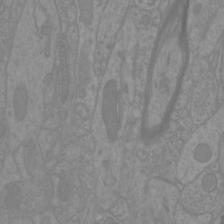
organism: Mouse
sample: Cortical neurons